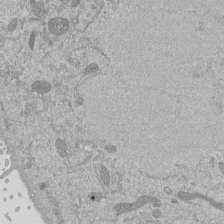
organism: Mouse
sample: ED-1 cell nuclei; centrioles